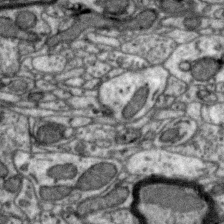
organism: Zebra finch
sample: Brain